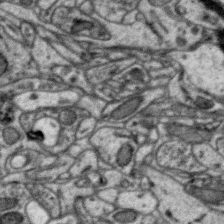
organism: Zebra finch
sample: Brain